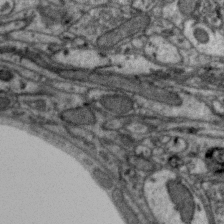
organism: Zebra finch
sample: Brain